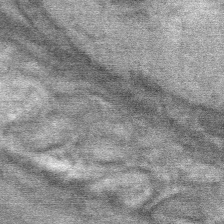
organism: Mouse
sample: Mouse Salivary gland